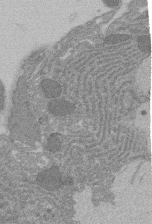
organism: Rat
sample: Salivary granule